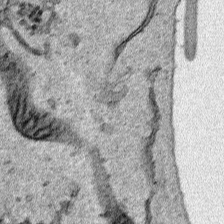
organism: Human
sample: Mitochondria in HCT116 cells